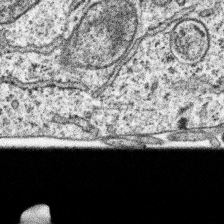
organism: Human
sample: HeLa cells